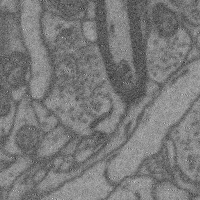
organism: Mouse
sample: Cerebral cortex